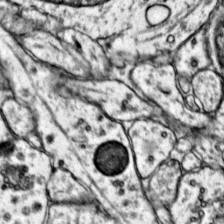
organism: Mouse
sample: Primary visual cortex